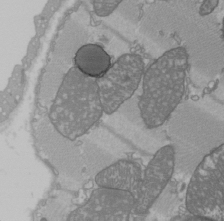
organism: C57BL Mouse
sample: Heart